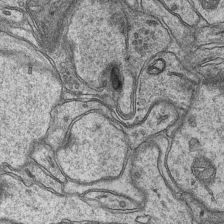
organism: Mouse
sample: CA1 Hippocampus